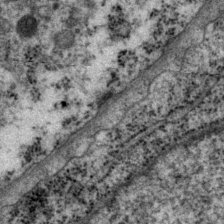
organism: P. pacificus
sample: Pharynx